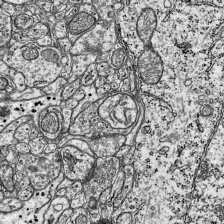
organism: Mouse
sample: Visual Cortex